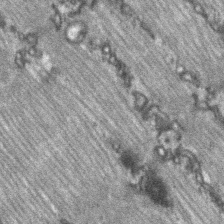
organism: C57BL Mouse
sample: Soleus